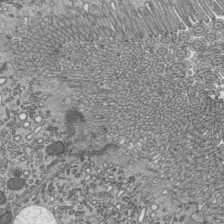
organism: Mouse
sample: Mouse epididymis efferent ductule cilia